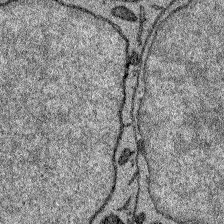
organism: Zebrafish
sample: Larval olfactory bulb